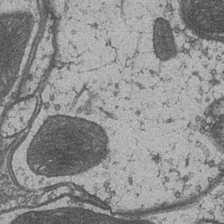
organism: Drosophila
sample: Optic medulla